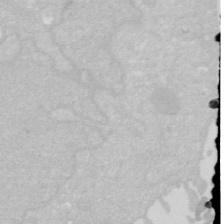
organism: Human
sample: HIV infected U937 cells